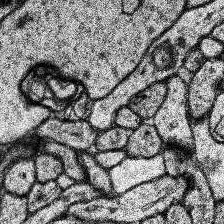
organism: Human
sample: Temporal Lobe